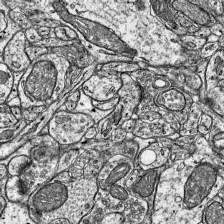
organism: Mouse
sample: Visual Cortex